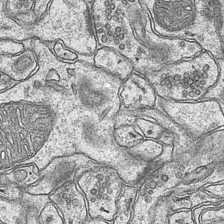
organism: Mouse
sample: CA1 Hippocampus